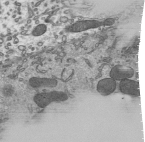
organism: Mouse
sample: Mouse epididymis efferent ductule cilia